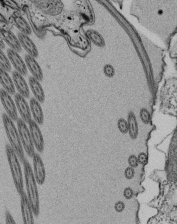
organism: Tetrahymena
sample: Cilia in tetrahymena